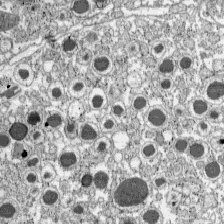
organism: C57BL Mouse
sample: Pancreatic islet